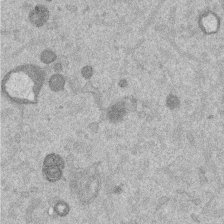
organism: Mouse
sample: Dividing mouse embryo 1 cell stage